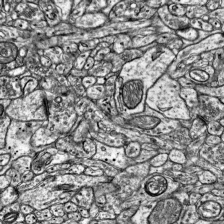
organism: Mouse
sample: Visual Cortex